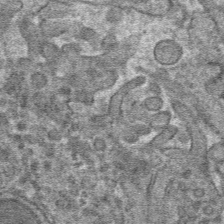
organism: Mouse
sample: Mouse hepatocytes